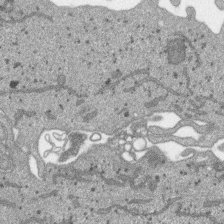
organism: Human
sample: Lung epithelial cells infected with SARS-CoV-2